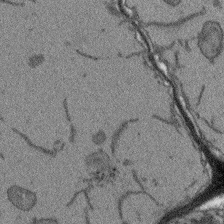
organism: Arabidopsis thaliana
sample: Root tip